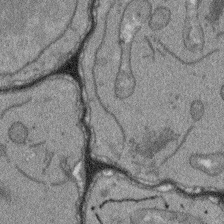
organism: Arabidopsis thaliana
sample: Root tip